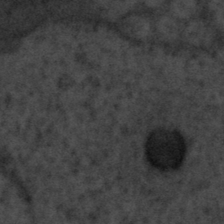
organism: Tuwongella immobilis